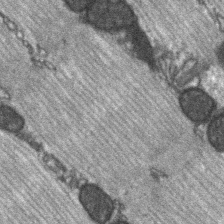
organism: C57BL Mouse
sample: Soleus